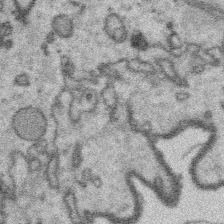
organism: Platynereis dumerilii